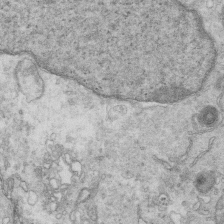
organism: Mouse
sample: Multiciliated cells